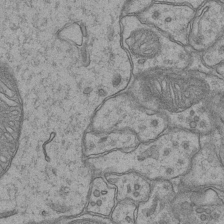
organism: Mouse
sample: CA1 Hippocampus